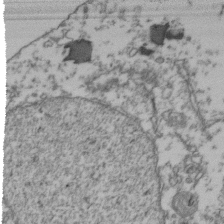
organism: Human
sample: Activated Jurkat CD4+ T cells